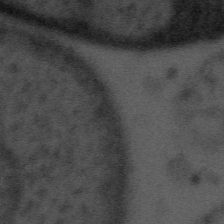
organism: Tuwongella immobilis